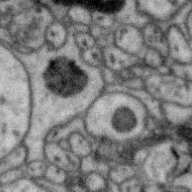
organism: Zebra finch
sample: Brain